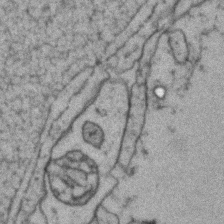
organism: Zebrafish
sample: Zebrafish embryo